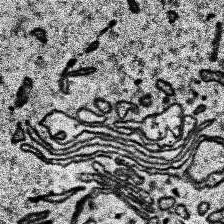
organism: Human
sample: Temporal Lobe